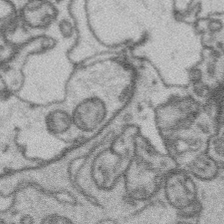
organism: Platynereis dumerilii